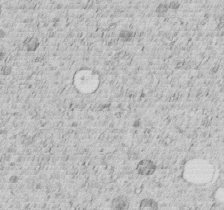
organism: C. elegans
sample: C. elegans embryo early stage